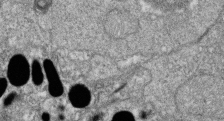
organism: Zebrafish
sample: Cilia; retinal pigment epithelium